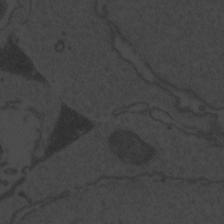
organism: Zebrafish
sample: Macrophage infected with Toxoplasma gondii